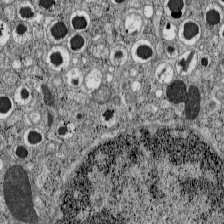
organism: C57BL Mouse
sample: Pancreatic islet